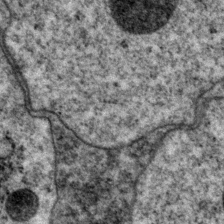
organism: P. pacificus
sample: Pharynx